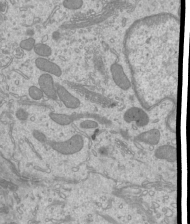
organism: Mouse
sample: Cilia; mouse epididymis